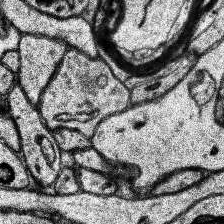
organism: Human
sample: Temporal Lobe